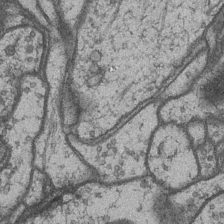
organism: Drosophila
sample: Optic medulla